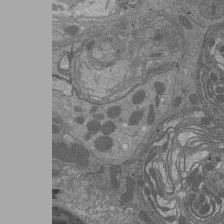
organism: Drosophila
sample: Antenna